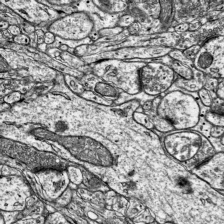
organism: Mouse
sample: Visual Cortex